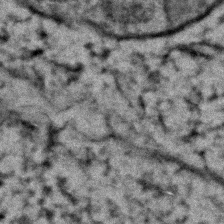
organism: Zebrafish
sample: Zebrafish embryo